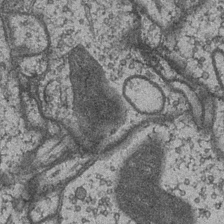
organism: Drosophila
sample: Optic medulla